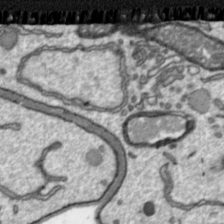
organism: Toxoplasma gondii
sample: Parasites in a vacuole inside a host cell